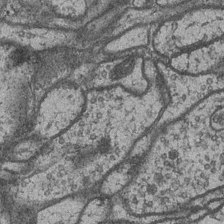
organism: Drosophila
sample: Optic medulla